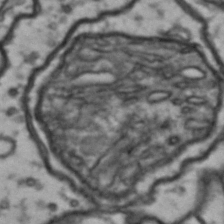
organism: Drosophila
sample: Brain